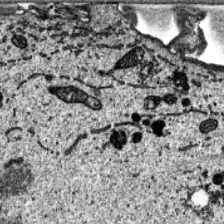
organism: Human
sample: HeLa cells